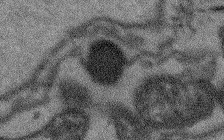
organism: Arabidopsis thaliana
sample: Root tip